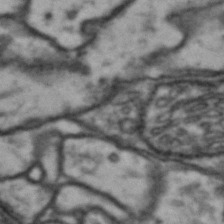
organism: Drosophila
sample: Brain